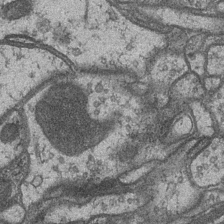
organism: Drosophila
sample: Optic medulla